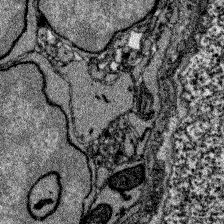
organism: Zebrafish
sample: Larval olfactory bulb